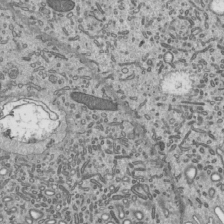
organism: Mouse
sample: Mouse epididymis efferent ductule cilia